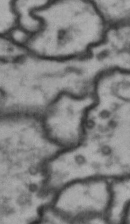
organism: Drosophila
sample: Brain